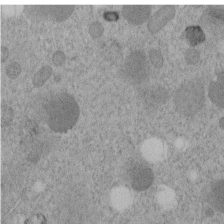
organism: C. elegans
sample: C. elegans embryo early stage